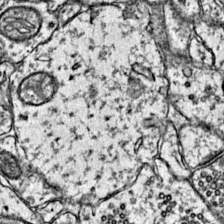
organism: Mouse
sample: Primary visual cortex